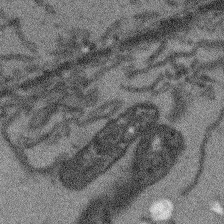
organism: Arabidopsis thaliana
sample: Root tip